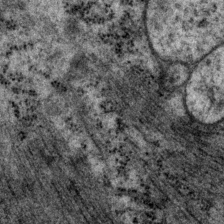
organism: P. pacificus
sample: Pharynx